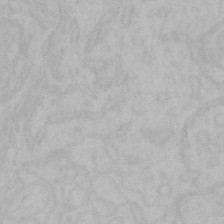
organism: Mouse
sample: Choroid plexus